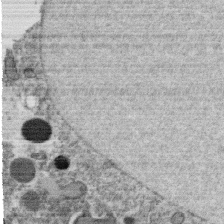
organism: C. elegans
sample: C. elegans oocyte; sperm cells